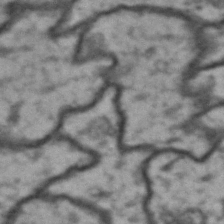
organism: Drosophila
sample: Brain